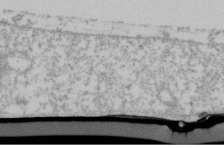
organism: Human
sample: U2-OS cells